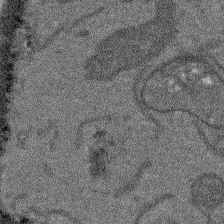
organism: Arabidopsis thaliana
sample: Root tip